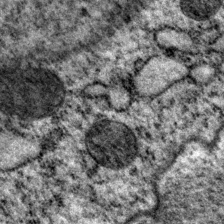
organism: P. pacificus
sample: Pharynx